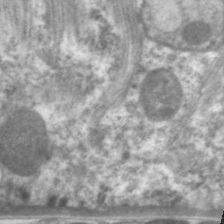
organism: C. elegans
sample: Pharynx